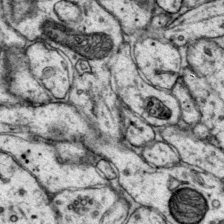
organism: Mouse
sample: Primary visual cortex